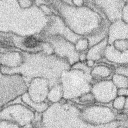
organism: Rabbit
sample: Retina